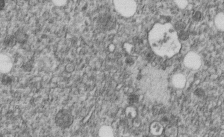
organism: C. elegans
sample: C. elegans embryo early stage